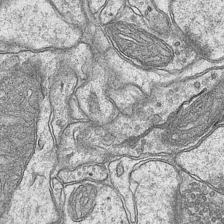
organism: Mouse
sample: CA1 Hippocampus